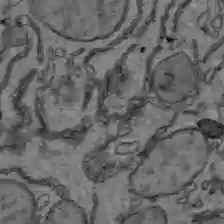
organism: C57BL Mouse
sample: Liver